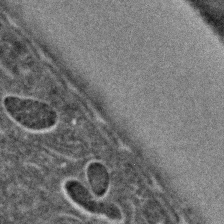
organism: C. elegans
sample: C. elegans embryo